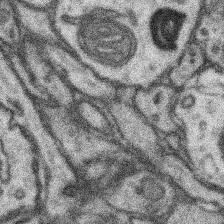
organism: Mouse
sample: Somatosensory cortex neuropil